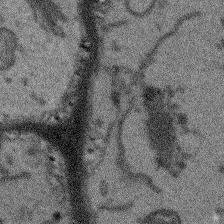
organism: Arabidopsis thaliana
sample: Root tip